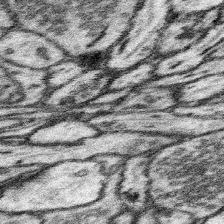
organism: Mouse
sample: Somatosensory cortex neuropil